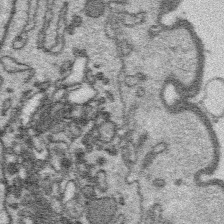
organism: Platynereis dumerilii